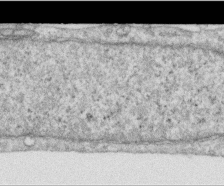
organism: Human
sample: Centriole in RPE cells